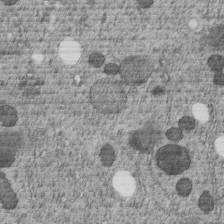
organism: C. elegans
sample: C. elegans embryo early stage